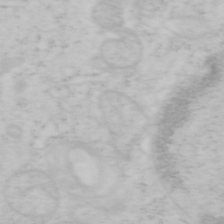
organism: Mouse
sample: OT-I killer T cells with ID8 ovarian cancer cells